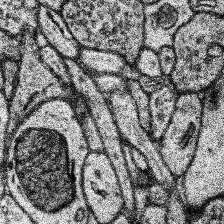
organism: Human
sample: Temporal Lobe